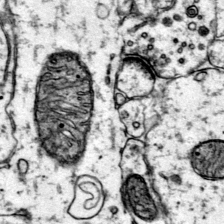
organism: Mouse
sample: Primary visual cortex